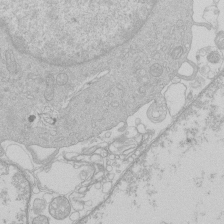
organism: Human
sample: Macrophage cells